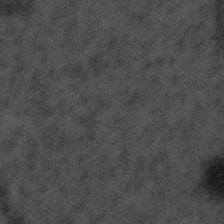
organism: Tuwongella immobilis